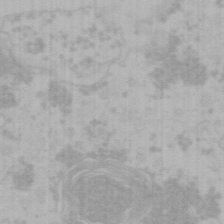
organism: Mouse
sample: Choroid plexus